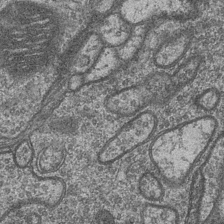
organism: Drosophila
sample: Optic medulla